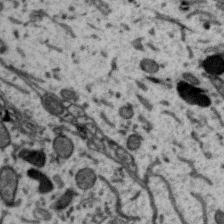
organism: Zebra finch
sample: Brain